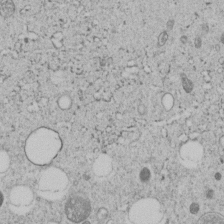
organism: C. elegans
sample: C. elegans embryo early stage